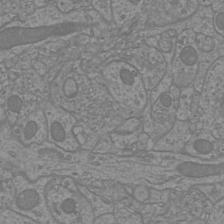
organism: Mouse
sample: Cortical neurons